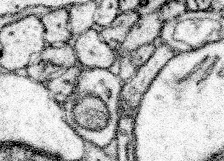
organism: Mouse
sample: Somatosensory cortex neuropil